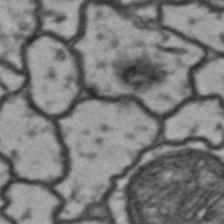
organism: Drosophila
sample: Brain